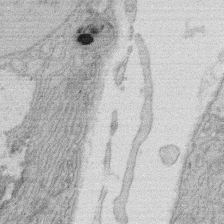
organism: Rat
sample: Salivary granule